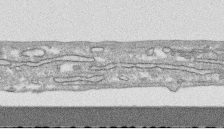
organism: Human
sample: CRL-1474